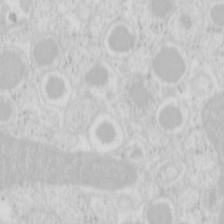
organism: Mouse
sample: Pancreas